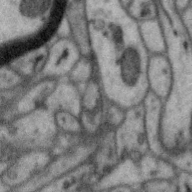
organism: Zebra finch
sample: Brain